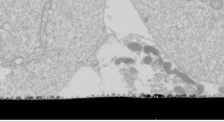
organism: Drosophila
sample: Cell division; meiosis; drosophila spermatocytes